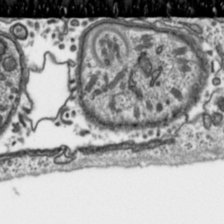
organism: Toxoplasma gondii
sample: Parasites in a vacuole inside a host cell